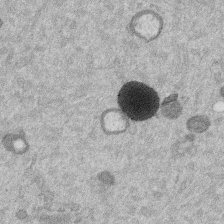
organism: Mouse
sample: Dividing mouse embryo 1 cell stage